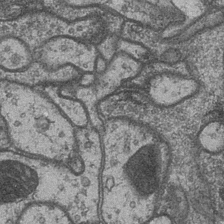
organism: Drosophila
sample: Optic medulla